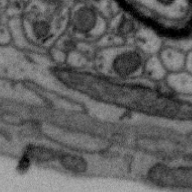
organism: Zebra finch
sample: Brain